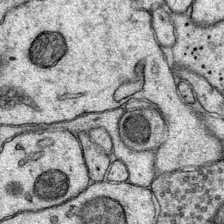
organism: Mouse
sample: Primary visual cortex